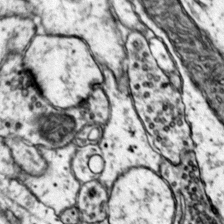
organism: Mouse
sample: Primary visual cortex